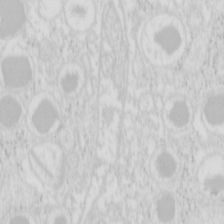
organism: Mouse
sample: Pancreas